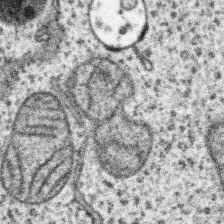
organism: Human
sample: HeLa cells